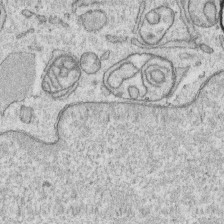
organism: Human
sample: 1205lu cells